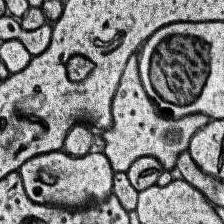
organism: Human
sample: Temporal Lobe